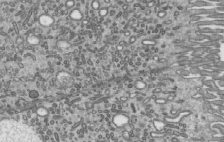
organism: Mouse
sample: Mouse epididymis efferent ductule cilia